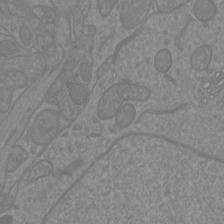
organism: Mouse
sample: Cortical neurons